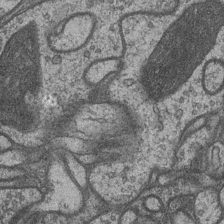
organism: Drosophila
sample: Optic medulla